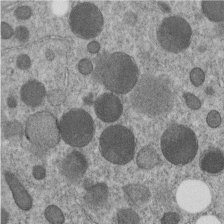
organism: C. elegans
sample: C. elegans embryo early stage